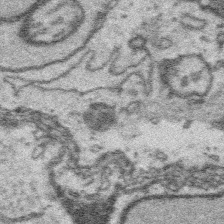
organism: Platynereis dumerilii